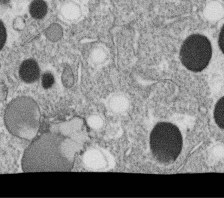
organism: C. elegans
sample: C. elegans oocyte; sperm cells